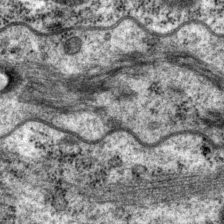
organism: P. pacificus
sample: Pharynx